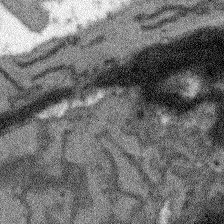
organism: Arabidopsis thaliana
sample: Root tip